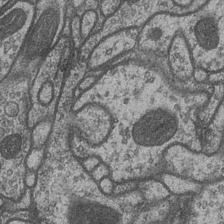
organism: Drosophila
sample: Optic medulla